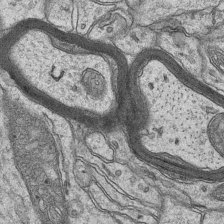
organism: Mouse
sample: CA1 Hippocampus